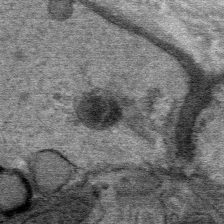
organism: Mouse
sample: Mouse Salivary gland